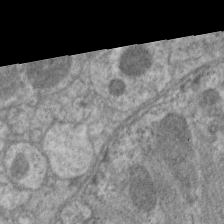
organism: C. elegans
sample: Pharynx